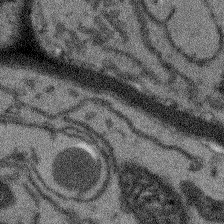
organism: Arabidopsis thaliana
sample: Root tip